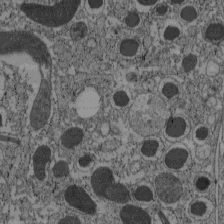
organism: C57BL Mouse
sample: Pancreatic islet